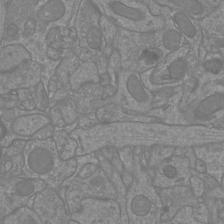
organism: Mouse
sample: Cortical neurons